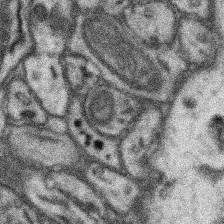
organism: Mouse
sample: Somatosensory cortex neuropil